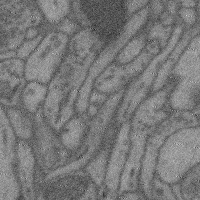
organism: Mouse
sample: Cerebral cortex